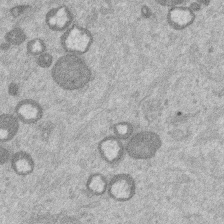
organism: Mouse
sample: Dividing mouse embryo 1 cell stage